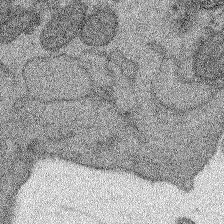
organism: Human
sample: HeLa cells